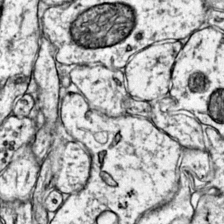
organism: Mouse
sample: Primary visual cortex